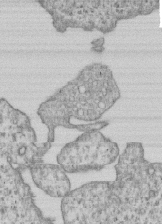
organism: Human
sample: MDA-MB-231 cells